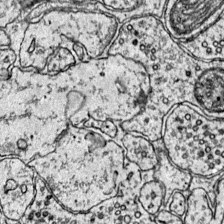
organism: Mouse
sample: Primary visual cortex